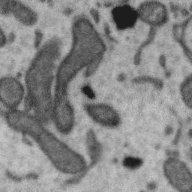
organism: Zebra finch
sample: Brain